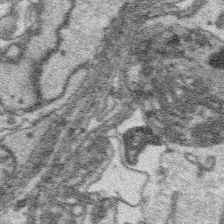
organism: Platynereis dumerilii